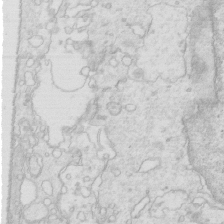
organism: Mouse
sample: Multiciliated cells